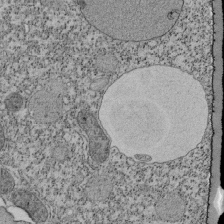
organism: Tetrahymena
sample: Cilia in tetrahymena